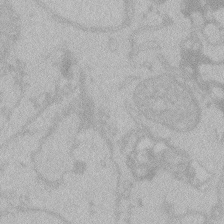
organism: Zebrafish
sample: Macrophage infected with Toxoplasma gondii